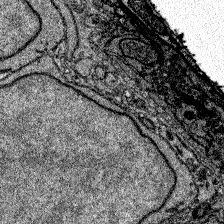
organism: Zebrafish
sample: Larval olfactory bulb